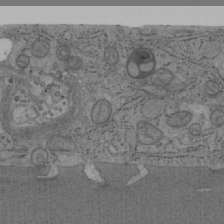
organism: Human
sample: HeLa cells